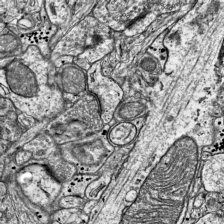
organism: Mouse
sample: Visual Cortex